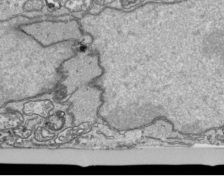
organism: Human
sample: Mitochondria in HCT116 cells